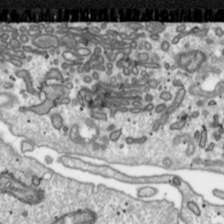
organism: Toxoplasma gondii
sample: Parasites in a vacuole inside a host cell